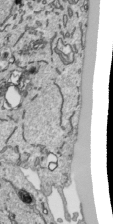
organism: Human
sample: Mitochondria in HCT116 cells